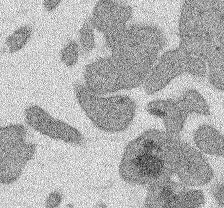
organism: Human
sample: HeLa cells